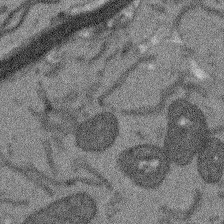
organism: Arabidopsis thaliana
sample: Root tip